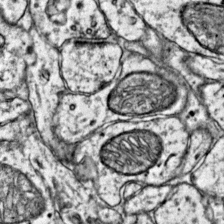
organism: Mouse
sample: Primary visual cortex